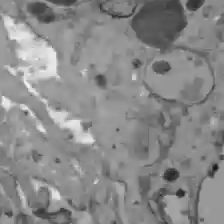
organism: C57BL Mouse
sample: Liver